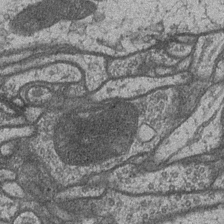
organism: Drosophila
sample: Optic medulla